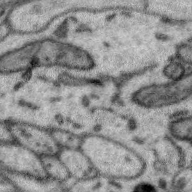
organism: Zebra finch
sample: Brain